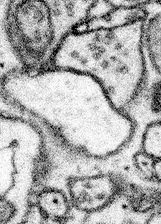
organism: Mouse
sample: Somatosensory cortex neuropil